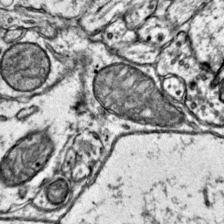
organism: Mouse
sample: Primary visual cortex